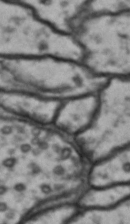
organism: Drosophila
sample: Brain